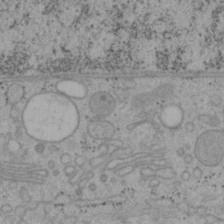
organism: Human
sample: HeLa cells